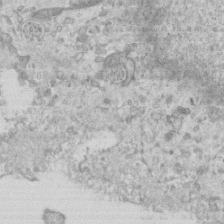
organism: Mouse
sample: Centriole in ependymal cells